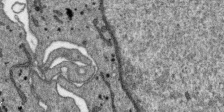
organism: Human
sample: Lung epithelial cells, uninfected (mock) control